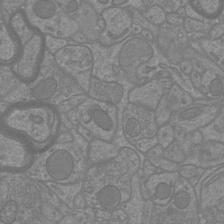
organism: Mouse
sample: Cortical neurons